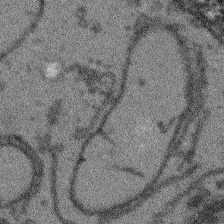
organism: Arabidopsis thaliana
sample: Root tip